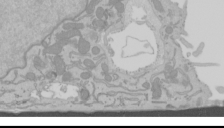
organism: Mouse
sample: Cancer cell death in ED-1 cells